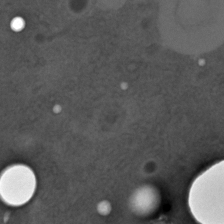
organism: C. elegans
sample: C. elegans embryo